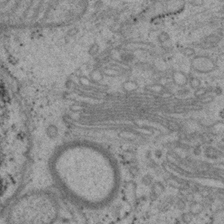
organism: Human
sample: HeLa cells